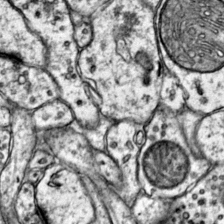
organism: Mouse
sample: Primary visual cortex